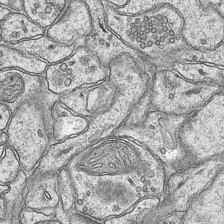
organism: Mouse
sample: CA1 Hippocampus